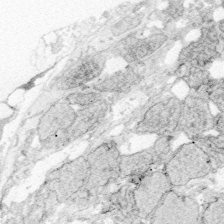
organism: Zebrafish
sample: Whole-Brain